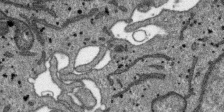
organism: Human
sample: Lung epithelial cells, uninfected (mock) control